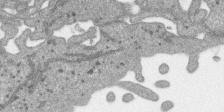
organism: Human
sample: Lung epithelial cells infected with SARS-CoV-2